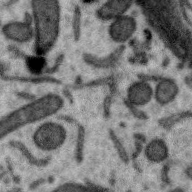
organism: Zebra finch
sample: Brain